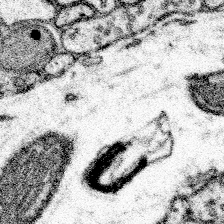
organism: Mouse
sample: Somatosensory cortex neuropil